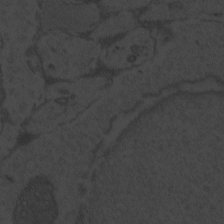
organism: Zebrafish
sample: Macrophage infected with Toxoplasma gondii